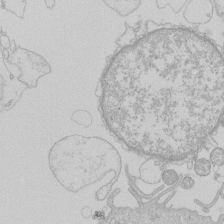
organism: Human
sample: Macrophage cells